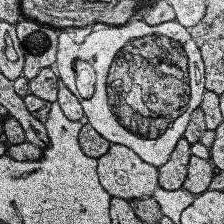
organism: Human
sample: Temporal Lobe